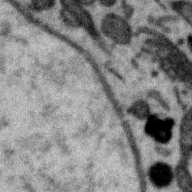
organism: Zebra finch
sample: Brain